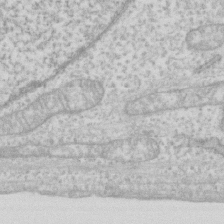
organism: Human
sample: Fibroblast cells